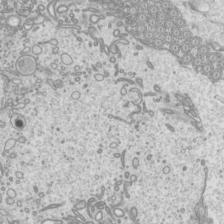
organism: Mouse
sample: Cilia; mouse epididymis